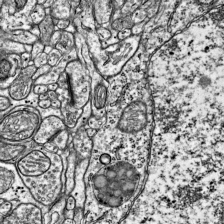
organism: Mouse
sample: Visual Cortex